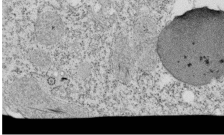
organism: Tetrahymena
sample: Cilia in tetrahymena